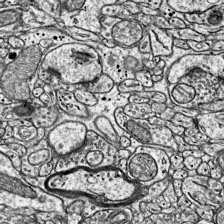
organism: Mouse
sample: Visual Cortex